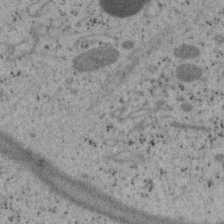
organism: Human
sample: HeLa cells